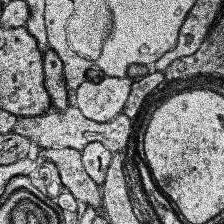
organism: Human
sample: Temporal Lobe